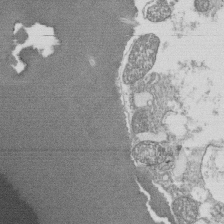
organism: Tetrahymena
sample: Cilia in tetrahymena